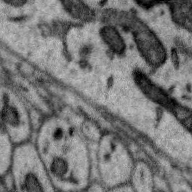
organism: Zebra finch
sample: Brain